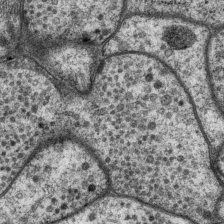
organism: P. pacificus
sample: Pharynx